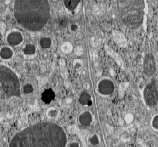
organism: C57BL Mouse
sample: Pancreatic islet